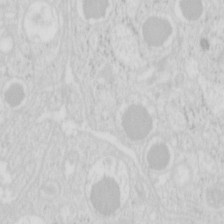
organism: Mouse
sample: Pancreas